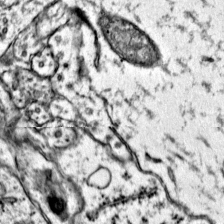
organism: Mouse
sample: Primary visual cortex